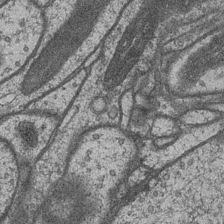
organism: Drosophila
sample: Optic medulla